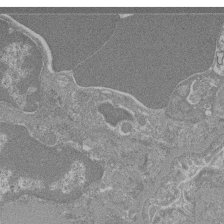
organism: Mouse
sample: Glomerulus